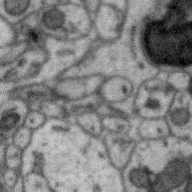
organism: Zebra finch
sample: Brain